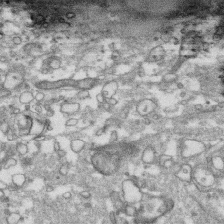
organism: Human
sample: CRL-1474